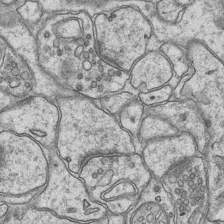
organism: Mouse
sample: CA1 Hippocampus